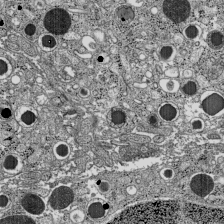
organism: C57BL Mouse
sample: Pancreatic islet